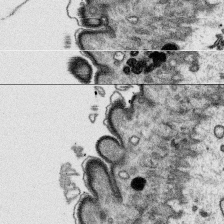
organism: Platynereis dumerilii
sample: Parapodia